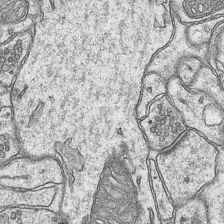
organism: Mouse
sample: CA1 Hippocampus